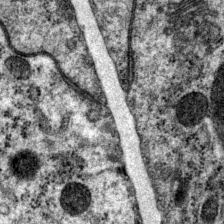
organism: P. pacificus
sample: Pharynx